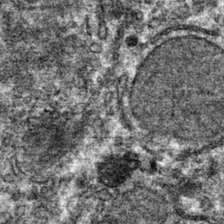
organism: Mouse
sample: Mouse hepatocytes